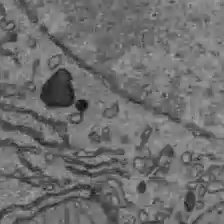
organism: C57BL Mouse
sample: Liver